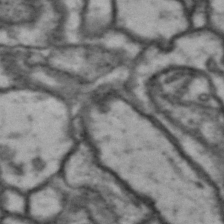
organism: Drosophila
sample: Brain